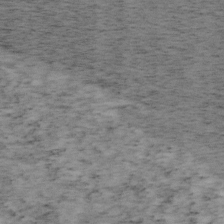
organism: Mouse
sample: OT-I killer T cells with ID8 ovarian cancer cells